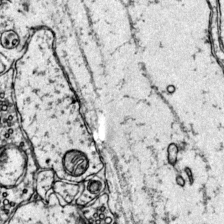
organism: Mouse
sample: Primary visual cortex